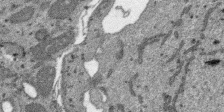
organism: Human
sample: Lung epithelial cells infected with SARS-CoV-2